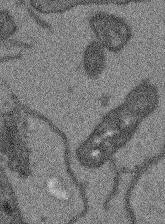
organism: Arabidopsis thaliana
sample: Root tip